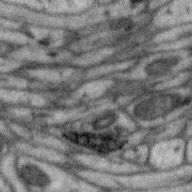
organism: Zebra finch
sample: Brain